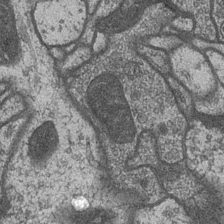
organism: Drosophila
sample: Optic medulla